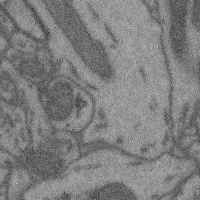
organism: Mouse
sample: Cerebral cortex